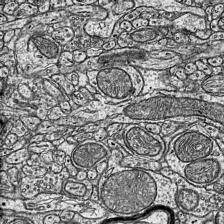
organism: Mouse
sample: Visual Cortex